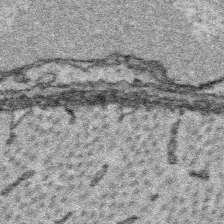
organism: Platynereis dumerilii